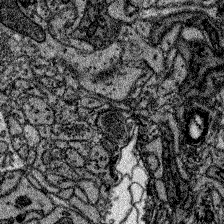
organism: Zebrafish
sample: Larval olfactory bulb